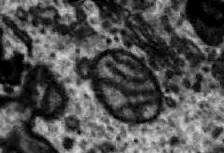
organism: Human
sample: HeLa cells